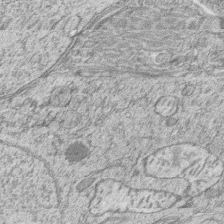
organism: Zebrafish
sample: synaptic ribbons in rod cells and cone cells